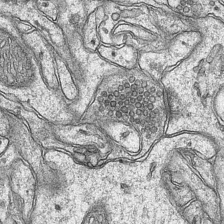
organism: Mouse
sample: CA1 Hippocampus